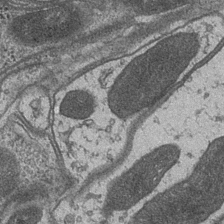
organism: Drosophila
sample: Optic medulla